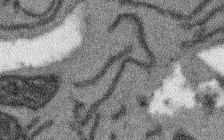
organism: Arabidopsis thaliana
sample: Root tip